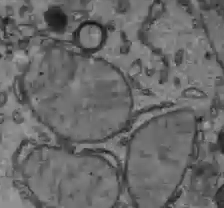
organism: C57BL Mouse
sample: Liver